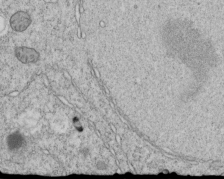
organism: C. elegans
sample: C. elegans embryo early stage